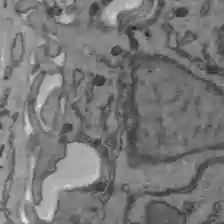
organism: C57BL Mouse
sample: Liver